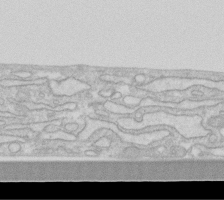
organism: Human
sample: Fibroblast cells